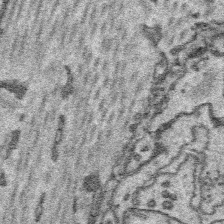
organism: Platynereis dumerilii